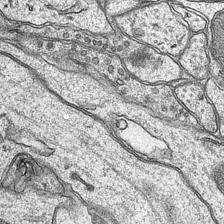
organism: Mouse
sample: CA1 Hippocampus